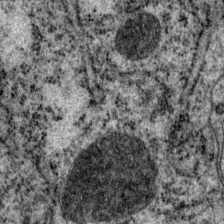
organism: P. pacificus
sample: Pharynx